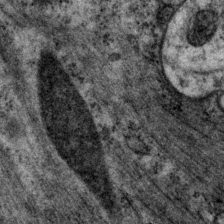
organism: P. pacificus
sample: Pharynx